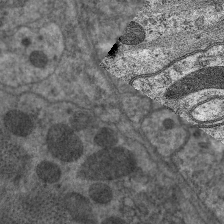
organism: C. elegans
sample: Pharynx